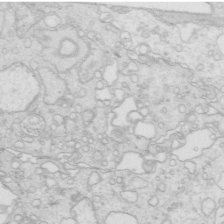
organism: Mouse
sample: Multiciliated cells